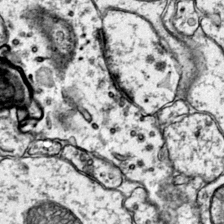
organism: Mouse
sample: Primary visual cortex